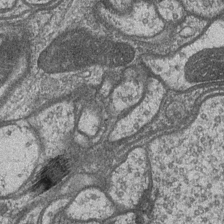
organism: Drosophila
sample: Optic medulla